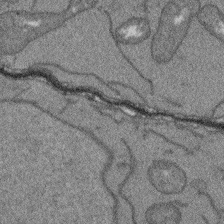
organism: Arabidopsis thaliana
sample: Root tip